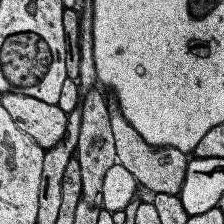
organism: Human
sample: Temporal Lobe